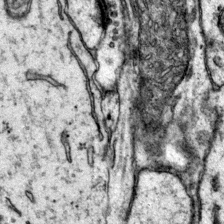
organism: Mouse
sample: Primary visual cortex